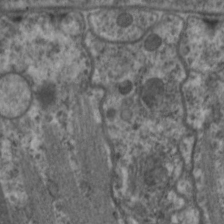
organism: C. elegans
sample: Pharynx